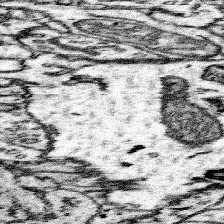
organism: Mouse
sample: Somatosensory cortex neuropil